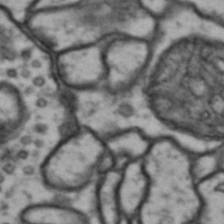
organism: Drosophila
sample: Brain